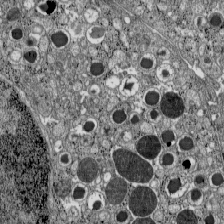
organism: C57BL Mouse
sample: Pancreatic islet